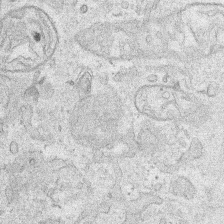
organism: Human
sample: Mitochondria in HCT116 cells